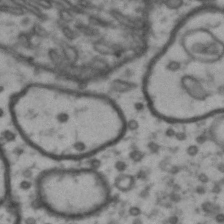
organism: Drosophila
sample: Brain